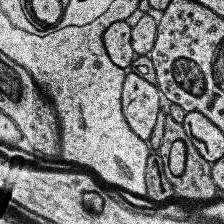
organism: Human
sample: Temporal Lobe